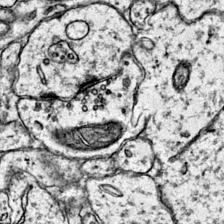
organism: Mouse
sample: Primary visual cortex